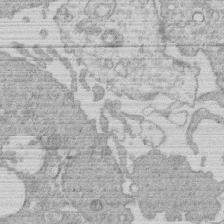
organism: Human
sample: Macrophage cells